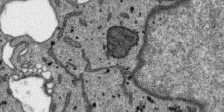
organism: Human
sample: Lung epithelial cells, uninfected (mock) control